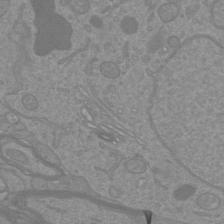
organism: Mouse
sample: Cortical neurons